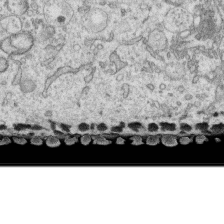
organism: Human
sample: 1205lu cells